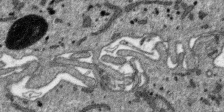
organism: Human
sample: Lung epithelial cells, uninfected (mock) control